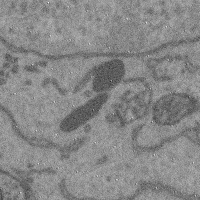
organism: Mouse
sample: Cerebral cortex